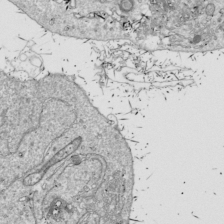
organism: Drosophila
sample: Cell division; meiosis; drosophila spermatocytes